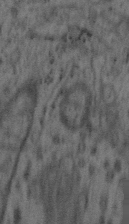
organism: Human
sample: HeLa cells